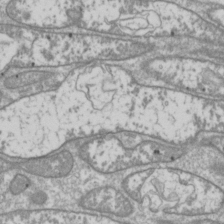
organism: Drosophila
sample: Cell division; meiosis; drosophila spermatocytes